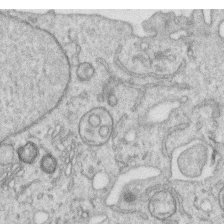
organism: Human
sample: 1205lu cells